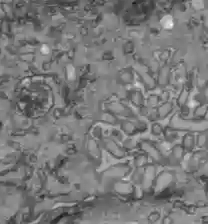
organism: C57BL Mouse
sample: Liver